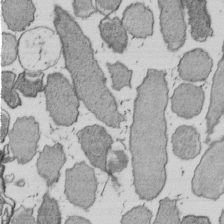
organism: E. coli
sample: Bacterial nucleoid